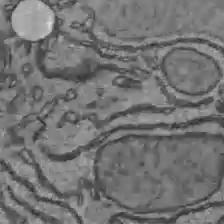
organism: C57BL Mouse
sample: Liver